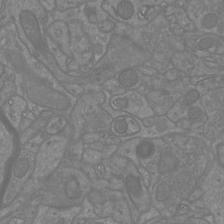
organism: Mouse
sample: Cortical neurons